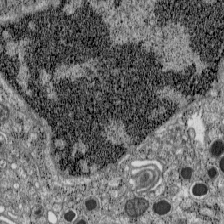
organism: C57BL Mouse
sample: Pancreatic islet